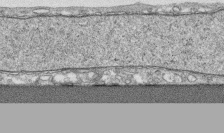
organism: Human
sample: CRL-1474